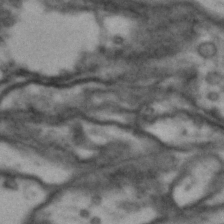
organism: Drosophila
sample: Brain